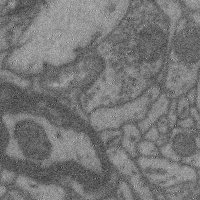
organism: Mouse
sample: Cerebral cortex